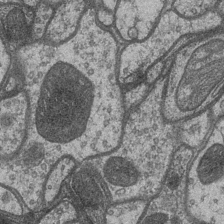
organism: Drosophila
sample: Optic medulla